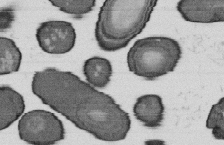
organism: B. subtilis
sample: Bacterial spore